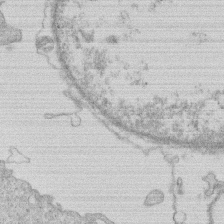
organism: Human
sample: Macrophage cells